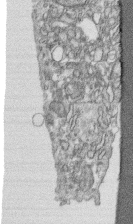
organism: Human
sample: CRL-1474